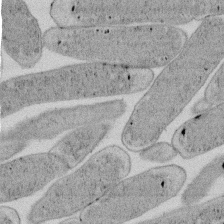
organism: E. coli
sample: Bacterial nucleoid